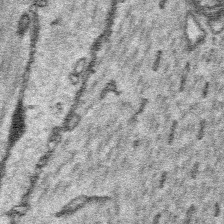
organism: Platynereis dumerilii